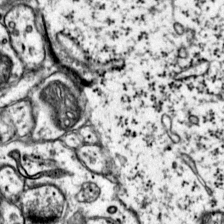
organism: Mouse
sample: Primary visual cortex